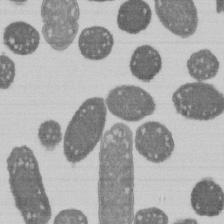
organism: E. coli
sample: Bacterial nucleoid